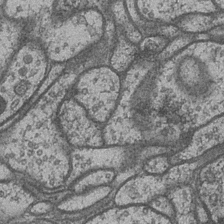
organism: Drosophila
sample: Optic medulla